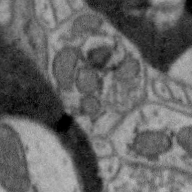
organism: Zebra finch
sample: Brain